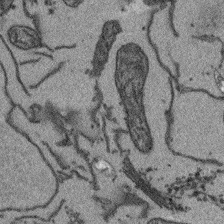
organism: Arabidopsis thaliana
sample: Root tip